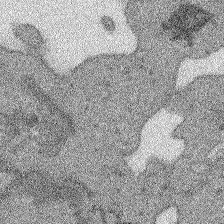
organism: Human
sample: HeLa cells